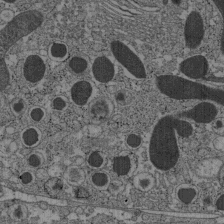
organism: C57BL Mouse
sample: Pancreatic islet